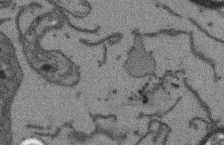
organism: Arabidopsis thaliana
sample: Root tip